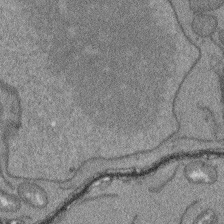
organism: Arabidopsis thaliana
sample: Root tip